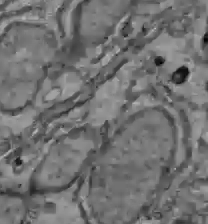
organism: C57BL Mouse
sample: Liver